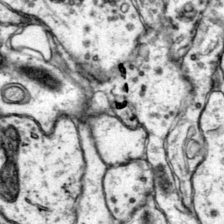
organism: Mouse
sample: Primary visual cortex